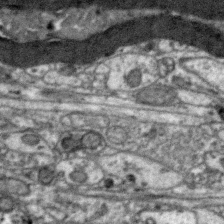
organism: Zebra finch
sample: Brain